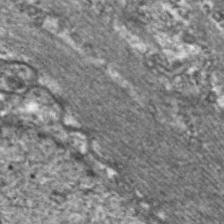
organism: C. elegans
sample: Pharynx